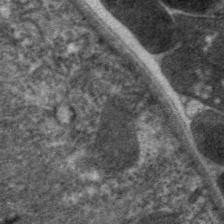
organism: C. elegans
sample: Pharynx